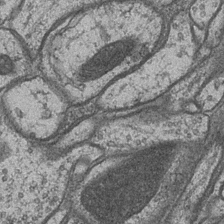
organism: Drosophila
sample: Optic medulla